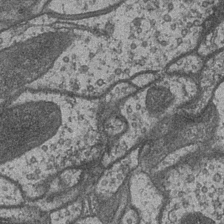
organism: Drosophila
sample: Optic medulla